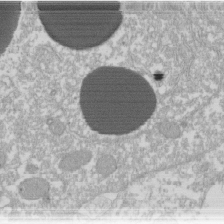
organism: Xenopus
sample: Cilia; centrioles in frog embryo cells